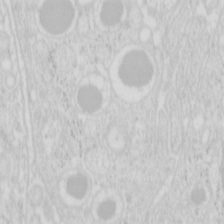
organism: Mouse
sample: Pancreas